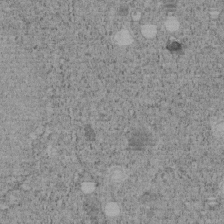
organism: C. elegans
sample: C. elegans embryo early stage